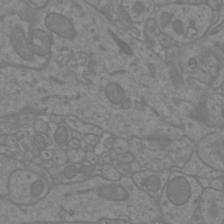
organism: Mouse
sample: Cortical neurons